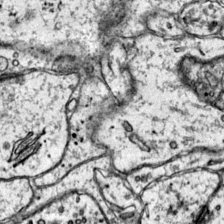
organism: Mouse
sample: Primary visual cortex